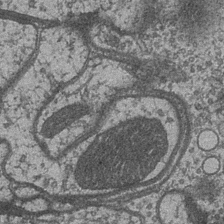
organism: Drosophila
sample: Optic medulla